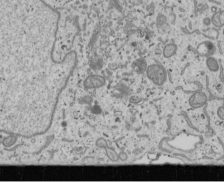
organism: Human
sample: Mitochondria in U2OS cells